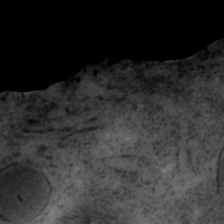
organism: C. elegans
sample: C. elegans embryo